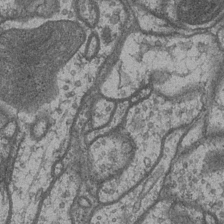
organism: Drosophila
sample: Optic medulla